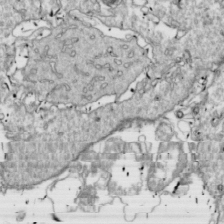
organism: Drosophila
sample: Cell division; meiosis; drosophila spermatocytes